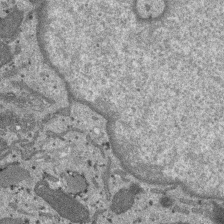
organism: Human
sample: Lung epithelial cells infected with SARS-CoV-2